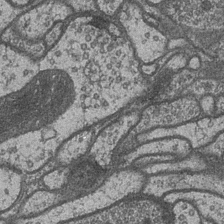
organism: Drosophila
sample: Optic medulla